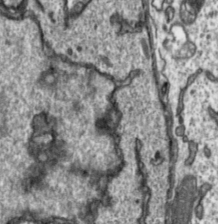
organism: Toxoplasma gondii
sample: Parasites in a vacuole inside a host cell